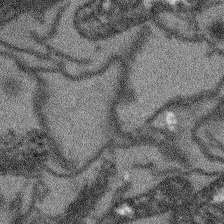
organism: Arabidopsis thaliana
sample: Root tip